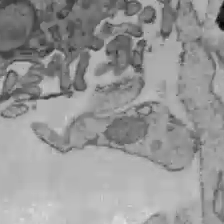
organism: C57BL Mouse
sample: Liver